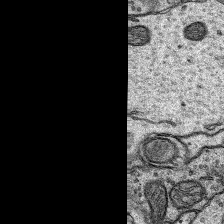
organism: Rat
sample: Hippocampus